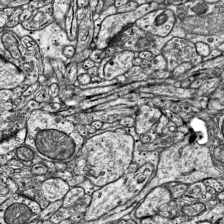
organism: Mouse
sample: Visual Cortex